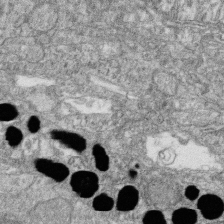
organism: Zebrafish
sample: Cilia; retinal pigment epithelium